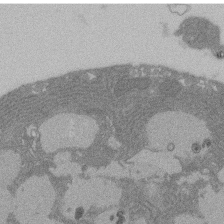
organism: Rat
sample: Salivary granule